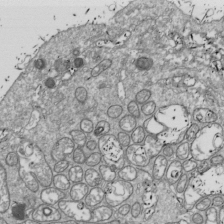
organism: Drosophila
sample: Cell division; meiosis; drosophila spermatocytes